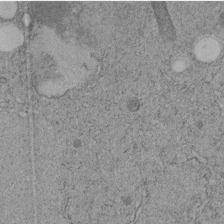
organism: C. elegans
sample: C. elegans embryo early stage